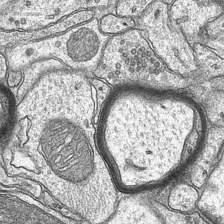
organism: Mouse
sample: CA1 Hippocampus